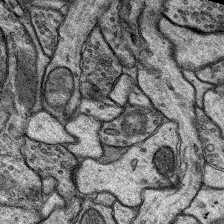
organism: Rat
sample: Hippocampus